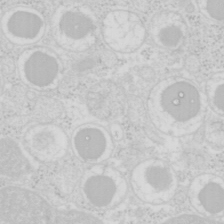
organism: Mouse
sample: Pancreas